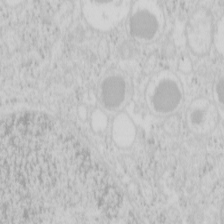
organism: Mouse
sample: Pancreas